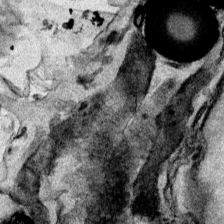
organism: Mouse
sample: Cancer cell death in ED-1 cells